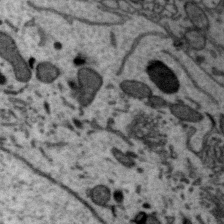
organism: Zebra finch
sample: Brain